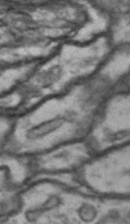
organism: Drosophila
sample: Brain